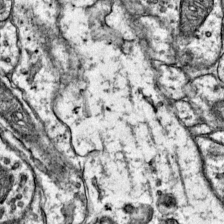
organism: Mouse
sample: Primary visual cortex